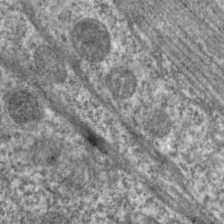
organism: C. elegans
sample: Pharynx